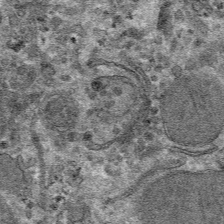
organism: Mouse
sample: Mouse hepatocytes